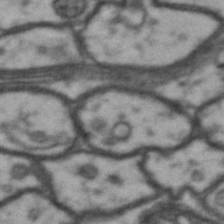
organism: Drosophila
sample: Brain